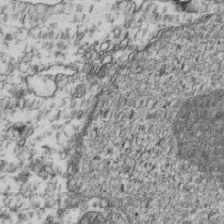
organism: Human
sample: Activated Jurkat CD4+ T cells